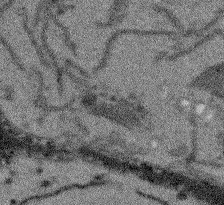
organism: Arabidopsis thaliana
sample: Root tip